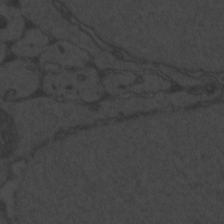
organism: Zebrafish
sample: Macrophage infected with Toxoplasma gondii